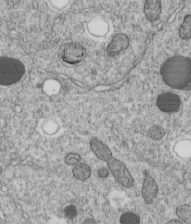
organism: C. elegans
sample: C. elegans embryo early stage